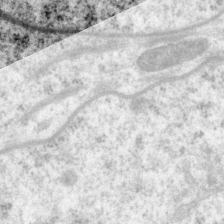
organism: P. pacificus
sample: Pharynx